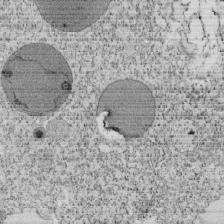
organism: Tetrahymena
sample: Cilia in tetrahymena